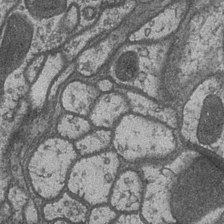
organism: Drosophila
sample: Optic medulla